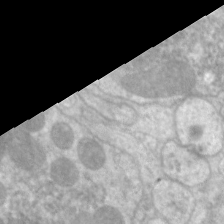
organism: C. elegans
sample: Pharynx